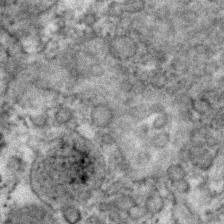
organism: Human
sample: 1205lu cells